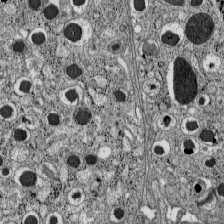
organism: C57BL Mouse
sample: Pancreatic islet